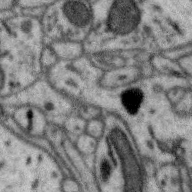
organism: Zebra finch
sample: Brain